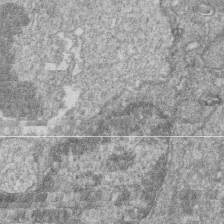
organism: Zebrafish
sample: Cilia; retinal pigment epithelium